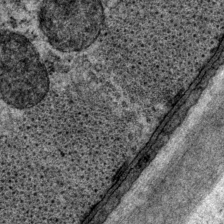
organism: P. pacificus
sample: Pharynx